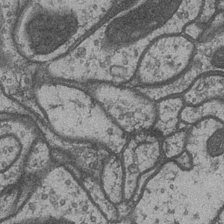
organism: Drosophila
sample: Optic medulla